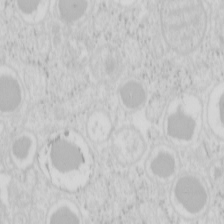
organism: Mouse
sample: Pancreas